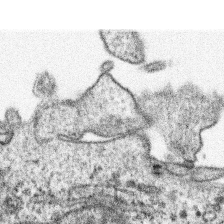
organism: Human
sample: HeLa cells